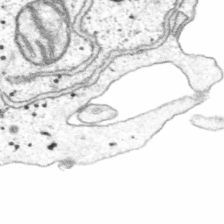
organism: Human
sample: HeLa cells